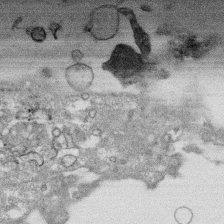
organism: Human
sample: CRL-1474